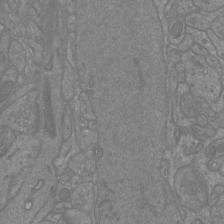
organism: Mouse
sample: Cortical neurons